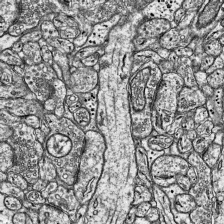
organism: Mouse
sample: Visual Cortex